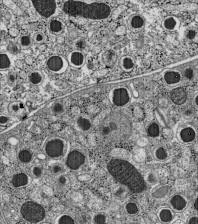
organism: C57BL Mouse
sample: Pancreatic islet